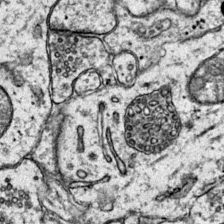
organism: Mouse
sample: Primary visual cortex